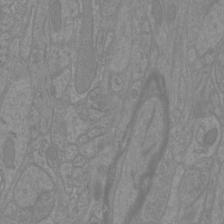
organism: Mouse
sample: Cortical neurons